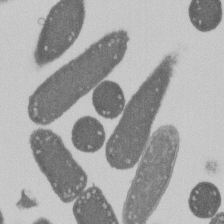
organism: E. coli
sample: Bacterial nucleoid